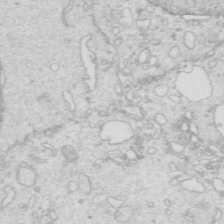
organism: Mouse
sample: Multiciliated cells